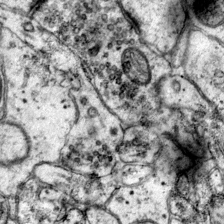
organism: Mouse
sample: Primary visual cortex